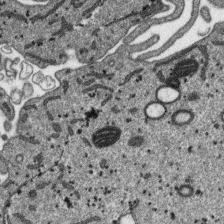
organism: Human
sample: Lung epithelial cells infected with SARS-CoV-2